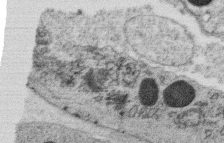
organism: C. elegans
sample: C. elegans oocyte; sperm cells